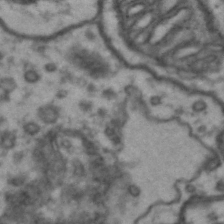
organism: Drosophila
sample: Brain